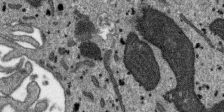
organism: Human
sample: Lung epithelial cells, uninfected (mock) control